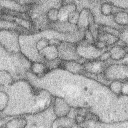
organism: Rabbit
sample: Retina